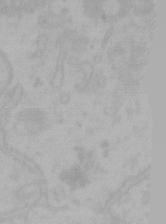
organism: Mouse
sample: Choroid plexus